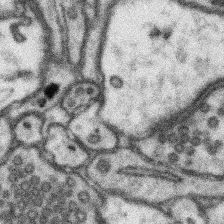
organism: Mouse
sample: Somatosensory cortex neuropil